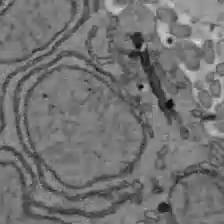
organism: C57BL Mouse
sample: Liver